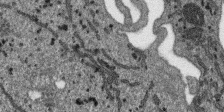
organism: Human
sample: Lung epithelial cells infected with SARS-CoV-2